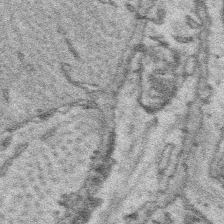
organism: Platynereis dumerilii